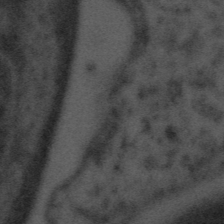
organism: Tuwongella immobilis